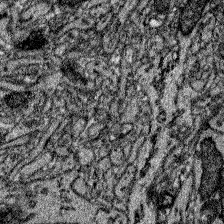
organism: Zebrafish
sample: Larval olfactory bulb